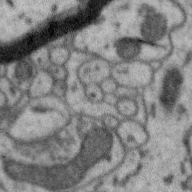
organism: Zebra finch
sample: Brain